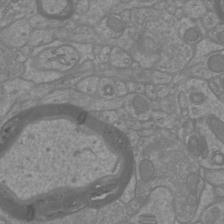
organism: Mouse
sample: Cortical neurons